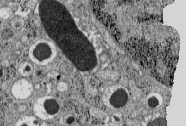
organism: C57BL Mouse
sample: Pancreatic islet